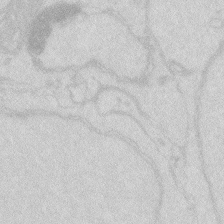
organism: Zebrafish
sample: Macrophage